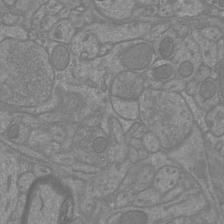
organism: Mouse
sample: Cortical neurons